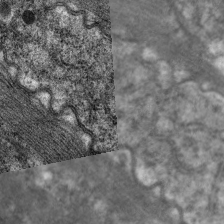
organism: C. elegans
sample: Pharynx